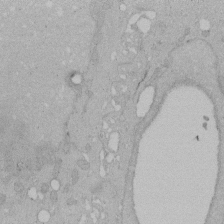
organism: Human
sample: Melanocyte Keratinocyte synapse skin construct